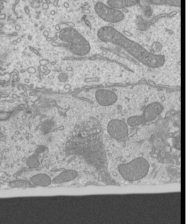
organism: Mouse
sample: Cilia; mouse epididymis